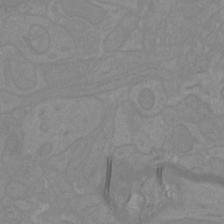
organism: Mouse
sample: Cortical neurons